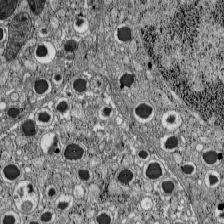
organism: C57BL Mouse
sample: Pancreatic islet